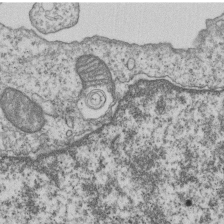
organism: Human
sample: MDA-MB-231 cells